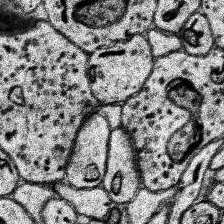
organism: Human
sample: Temporal Lobe